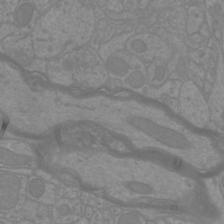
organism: Mouse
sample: Cortical neurons